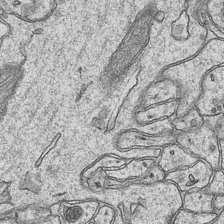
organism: Mouse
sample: CA1 Hippocampus